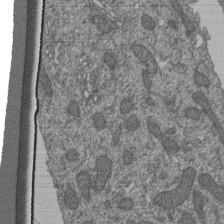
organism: Human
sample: Retinal organoid Rod and Cone cells